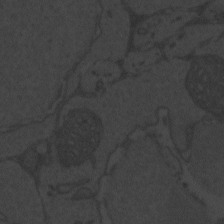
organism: Zebrafish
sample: Macrophage infected with Toxoplasma gondii